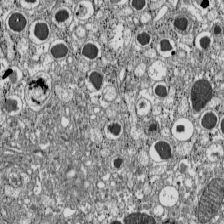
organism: C57BL Mouse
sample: Pancreatic islet